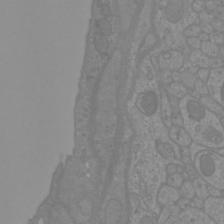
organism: Mouse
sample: Cortical neurons